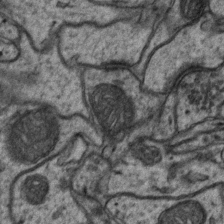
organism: Mouse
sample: CA1 Hippocampus